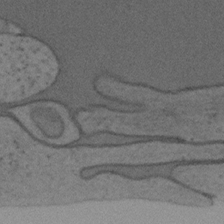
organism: Human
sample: HeLa cells